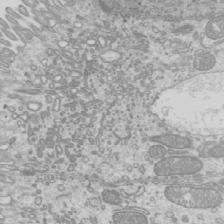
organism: Mouse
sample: Cilia; mouse epididymis